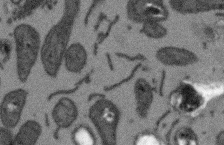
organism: Arabidopsis thaliana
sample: Root tip